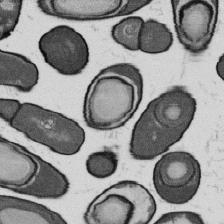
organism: B. subtilis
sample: Bacterial spore